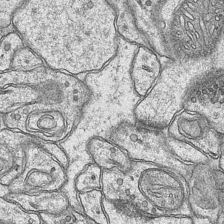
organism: Mouse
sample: CA1 Hippocampus